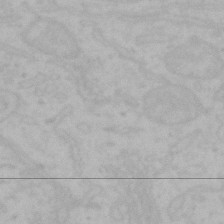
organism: Mouse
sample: Choroid plexus